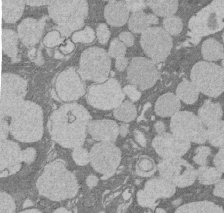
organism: Rat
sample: Salivary granule